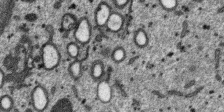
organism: Human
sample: Lung epithelial cells infected with SARS-CoV-2